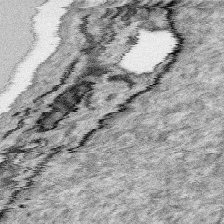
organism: Human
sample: HeLa cells